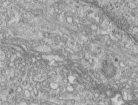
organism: Human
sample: Centriole in RPE cells